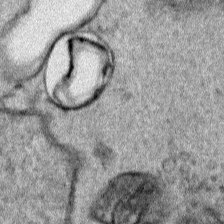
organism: Human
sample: Mitochondria in HCT116 cells